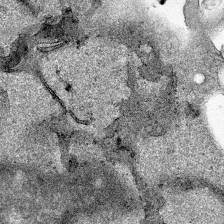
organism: Human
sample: Mitochondria in HCT116 cells